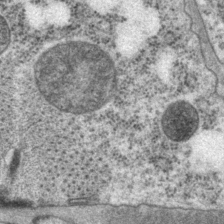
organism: P. pacificus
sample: Pharynx